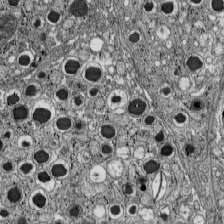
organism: C57BL Mouse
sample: Pancreatic islet